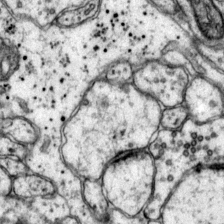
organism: Mouse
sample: Primary visual cortex